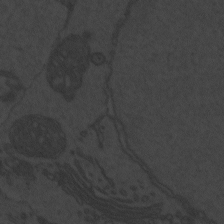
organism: Zebrafish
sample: Macrophage infected with Toxoplasma gondii